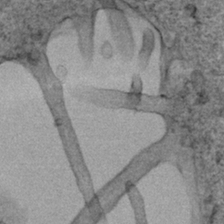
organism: Human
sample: Mitochondria in HCT116 cells